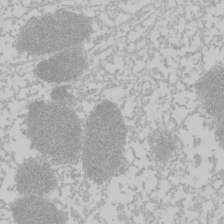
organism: Mouse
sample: Cancer cell death in ED-1 cells